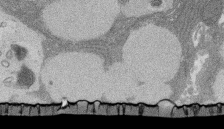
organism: Rat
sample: Salivary granule